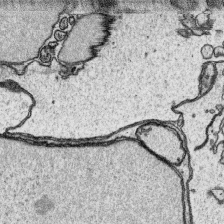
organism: Platynereis dumerilii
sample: Parapodia